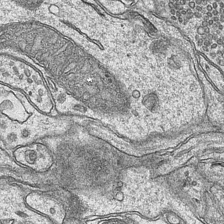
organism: Mouse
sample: CA1 Hippocampus